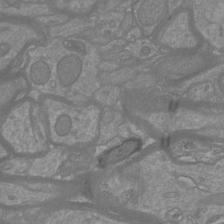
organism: Mouse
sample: Cortical neurons